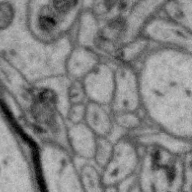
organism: Zebra finch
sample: Brain